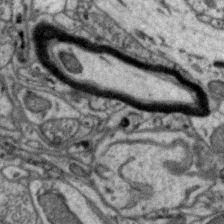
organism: Zebra finch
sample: Brain